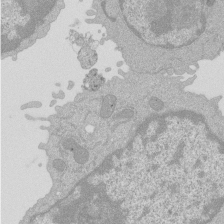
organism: Mouse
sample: Activated Pmel transgenic CD8+ T Cells